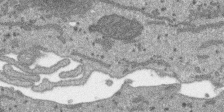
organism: Human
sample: Lung epithelial cells infected with SARS-CoV-2